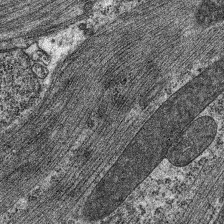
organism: C. elegans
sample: Pharynx